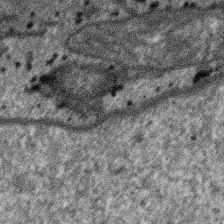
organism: Human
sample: Lung epithelial cells infected with SARS-CoV-2